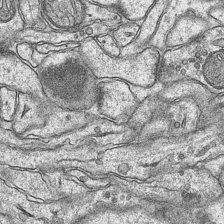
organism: Mouse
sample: CA1 Hippocampus